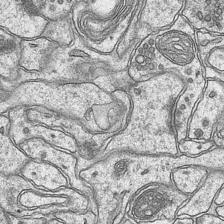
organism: Mouse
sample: CA1 Hippocampus